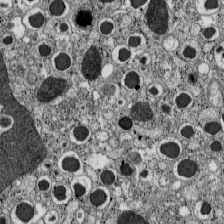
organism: C57BL Mouse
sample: Pancreatic islet